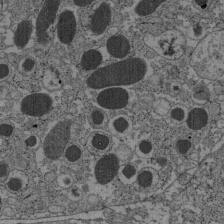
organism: C57BL Mouse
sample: Pancreatic islet